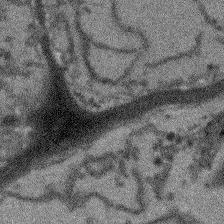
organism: Arabidopsis thaliana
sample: Root tip